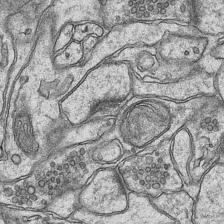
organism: Mouse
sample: CA1 Hippocampus